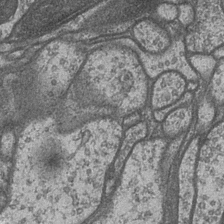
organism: Drosophila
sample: Optic medulla